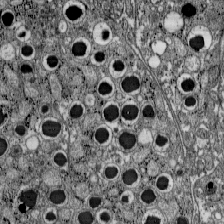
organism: C57BL Mouse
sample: Pancreatic islet